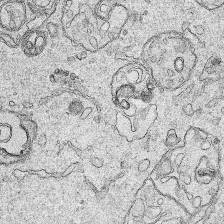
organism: Human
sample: Mitochondria in HCT116 cells